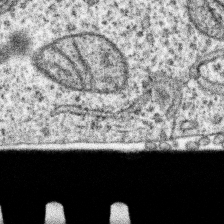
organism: Human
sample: HeLa cells